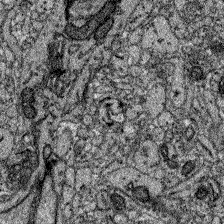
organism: Zebrafish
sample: Larval olfactory bulb